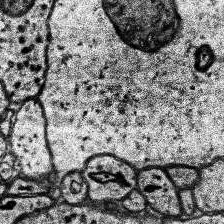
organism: Human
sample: Temporal Lobe